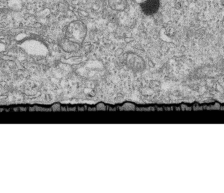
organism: Human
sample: HeLa cell HIV synapse